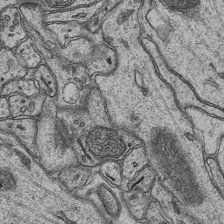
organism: Mouse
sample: CA1 Hippocampus